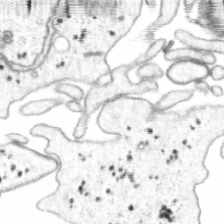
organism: Human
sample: HeLa cells